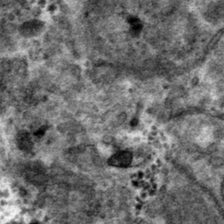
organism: Mouse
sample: Mouse hepatocytes